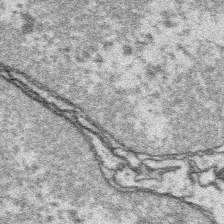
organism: Platynereis dumerilii